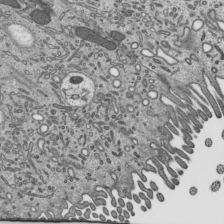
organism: Mouse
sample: Mouse epididymis efferent ductule cilia